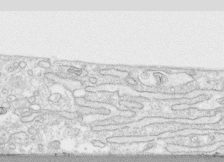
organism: Human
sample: CRL-1474